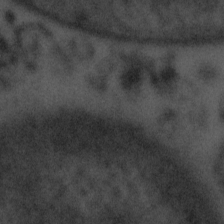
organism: Tuwongella immobilis